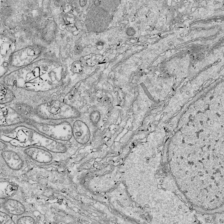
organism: Drosophila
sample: Cell division; meiosis; drosophila spermatocytes